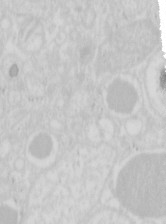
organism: Mouse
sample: Pancreas